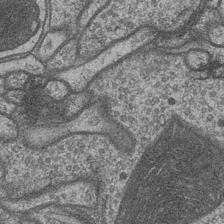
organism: Drosophila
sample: Optic medulla